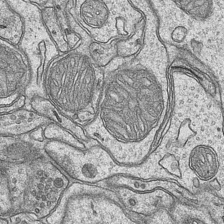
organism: Mouse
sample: CA1 Hippocampus